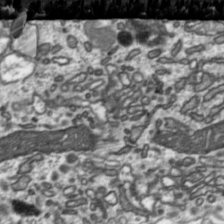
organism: Toxoplasma gondii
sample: Parasites in a vacuole inside a host cell